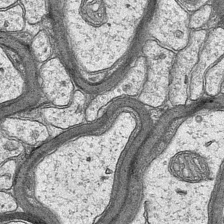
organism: Mouse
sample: CA1 Hippocampus